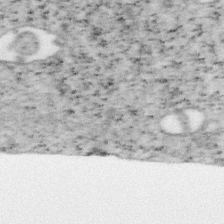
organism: Mouse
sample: OT-I killer T cells with ID8 ovarian cancer cells